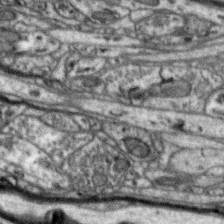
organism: Zebra finch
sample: Brain